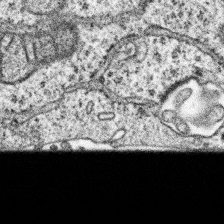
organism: Human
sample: HeLa cells